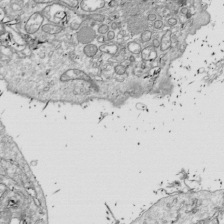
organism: Drosophila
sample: Cell division; meiosis; drosophila spermatocytes